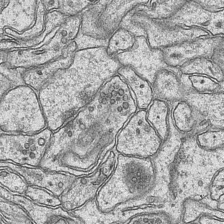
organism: Mouse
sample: CA1 Hippocampus